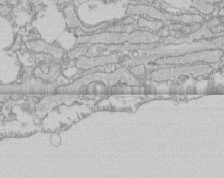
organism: Human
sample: CRL-1474